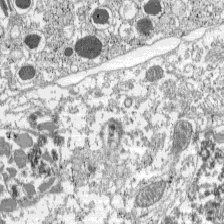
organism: C57BL Mouse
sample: Pancreatic islet